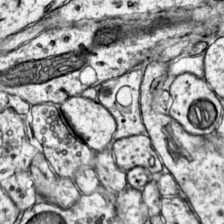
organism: Mouse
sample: Primary visual cortex